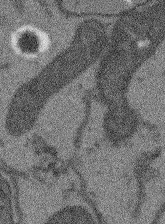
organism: Arabidopsis thaliana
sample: Root tip